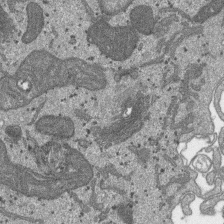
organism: Human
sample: Lung epithelial cells infected with SARS-CoV-2